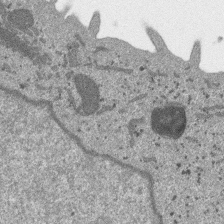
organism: Human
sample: Lung epithelial cells infected with SARS-CoV-2